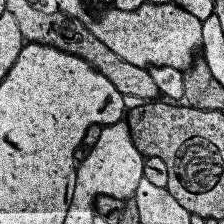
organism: Human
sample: Temporal Lobe